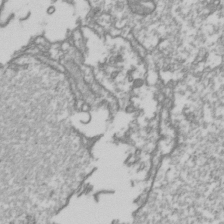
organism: Drosophila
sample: Cell division; meiosis; drosophila spermatocytes